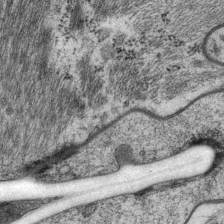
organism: P. pacificus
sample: Pharynx